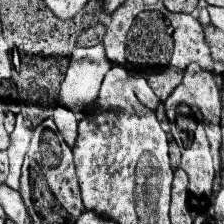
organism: Human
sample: Temporal Lobe